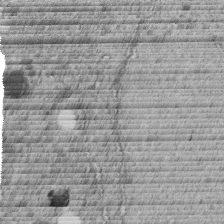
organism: C. elegans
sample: C. elegans embryo early stage